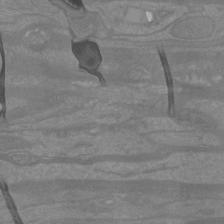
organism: Mouse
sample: Cortical neurons